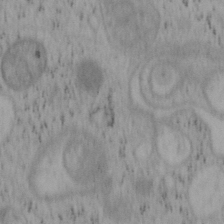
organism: Mouse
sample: OT-I killer T cells with ID8 ovarian cancer cells